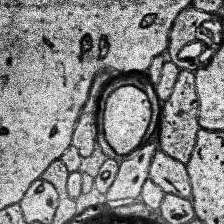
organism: Human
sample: Temporal Lobe